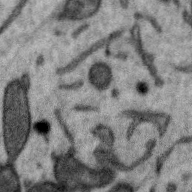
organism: Zebra finch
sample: Brain